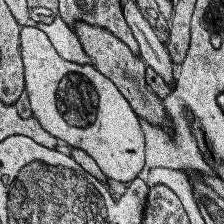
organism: Human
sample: Temporal Lobe